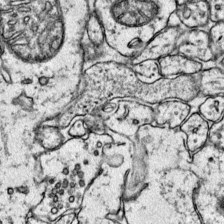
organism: Mouse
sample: Primary visual cortex